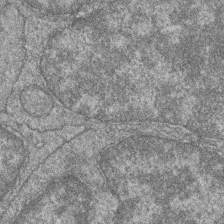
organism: Zebrafish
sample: Cilia; retinal pigment epithelium